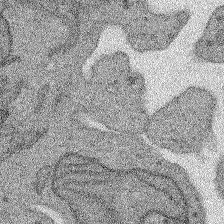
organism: Human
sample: HeLa cells